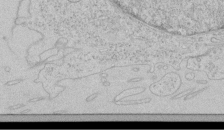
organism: Human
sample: Mitochondria in HCT116 cells